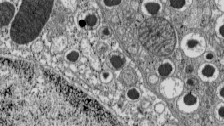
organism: C57BL Mouse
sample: Pancreatic islet